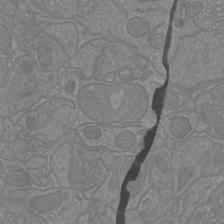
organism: Mouse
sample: Cortical neurons